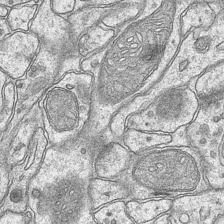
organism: Mouse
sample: CA1 Hippocampus